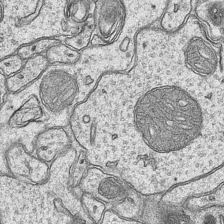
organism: Mouse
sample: CA1 Hippocampus